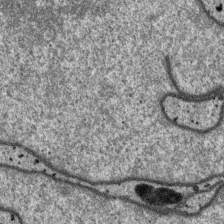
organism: Human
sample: Lung epithelial cells, uninfected (mock) control